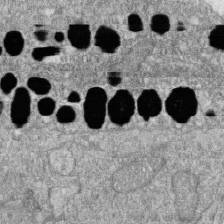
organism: Zebrafish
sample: Cilia; retinal pigment epithelium